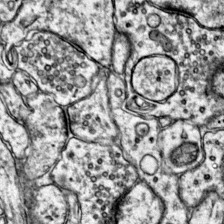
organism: Mouse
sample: Primary visual cortex